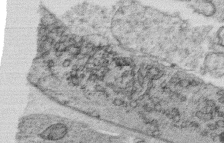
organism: C. elegans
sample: C. elegans oocyte; sperm cells